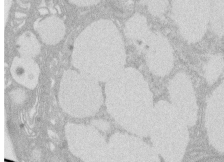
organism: Rat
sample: Salivary granule